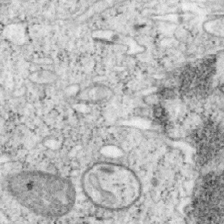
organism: Mouse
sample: OT-I killer T cells with ID8 ovarian cancer cells